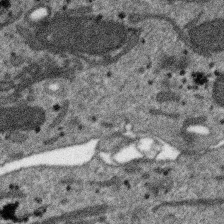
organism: Human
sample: Lung epithelial cells infected with SARS-CoV-2